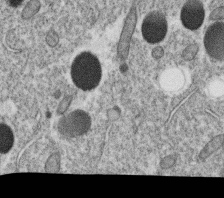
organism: C. elegans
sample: C. elegans oocyte; sperm cells